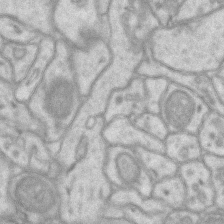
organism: Mouse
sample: CA1 Hippocampus